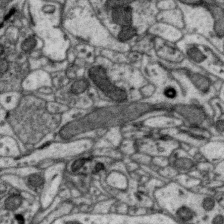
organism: Zebra finch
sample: Brain